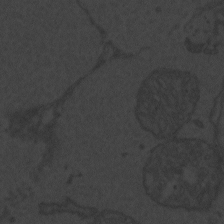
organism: Zebrafish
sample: Macrophage infected with Toxoplasma gondii